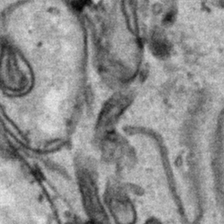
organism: Human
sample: Mitochondria in HCT116 cells